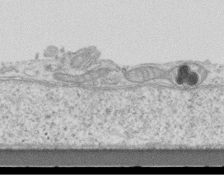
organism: Mouse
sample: Centriole in ependymal cells